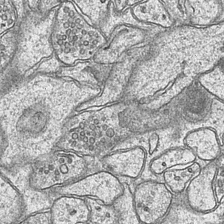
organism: Mouse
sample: CA1 Hippocampus